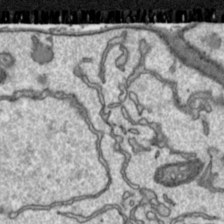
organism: Toxoplasma gondii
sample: Parasites in a vacuole inside a host cell